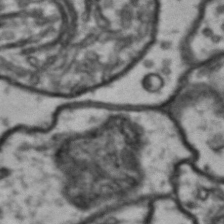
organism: Drosophila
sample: Brain